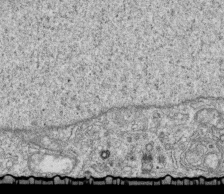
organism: Human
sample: HeLa cell HIV synapse